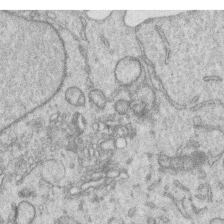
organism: Human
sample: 1205lu cells